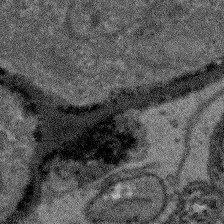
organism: Arabidopsis thaliana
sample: Root tip